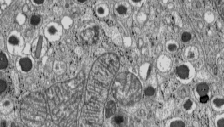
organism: C57BL Mouse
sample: Pancreatic islet